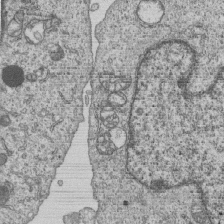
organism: Human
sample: MDA-MB-231 cells